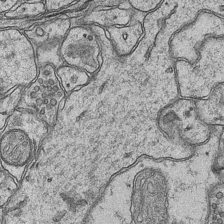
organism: Mouse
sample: CA1 Hippocampus